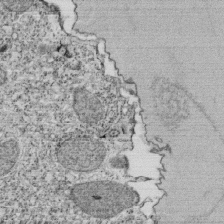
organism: Tetrahymena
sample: Cilia in tetrahymena